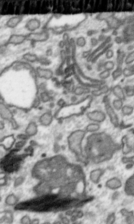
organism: Toxoplasma gondii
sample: Parasites in a vacuole inside a host cell